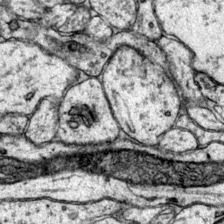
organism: Mouse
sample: Primary visual cortex